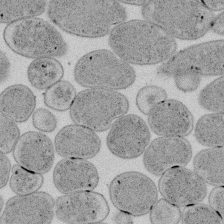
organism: E. coli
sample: Bacterial nucleoid